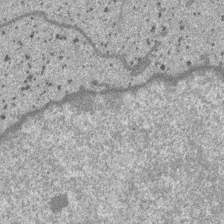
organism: Human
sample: Lung epithelial cells infected with SARS-CoV-2